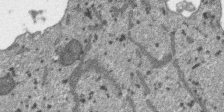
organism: Human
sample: Lung epithelial cells infected with SARS-CoV-2